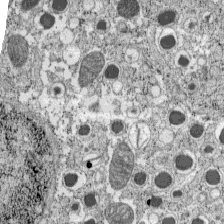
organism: C57BL Mouse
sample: Pancreatic islet